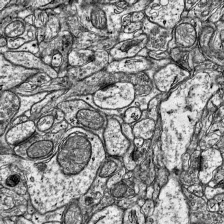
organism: Mouse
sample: Visual Cortex